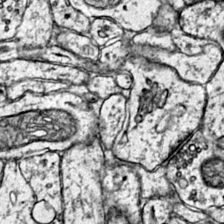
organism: Mouse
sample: Primary visual cortex